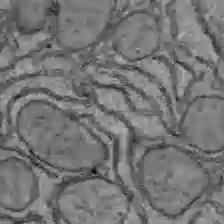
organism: C57BL Mouse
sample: Liver